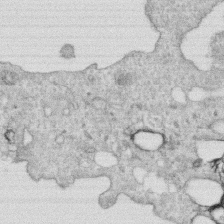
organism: Human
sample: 1205lu cells